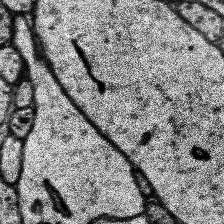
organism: Human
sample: Temporal Lobe